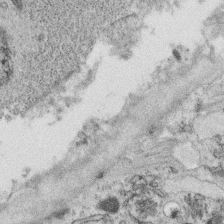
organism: C. elegans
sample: C. elegans oocyte; sperm cells